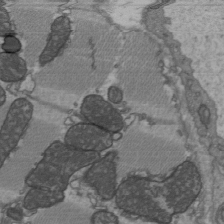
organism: C57BL Mouse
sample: Heart